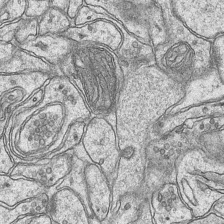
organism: Mouse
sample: CA1 Hippocampus